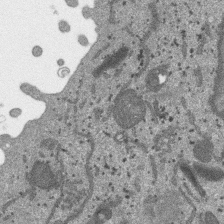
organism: Human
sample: Lung epithelial cells infected with SARS-CoV-2